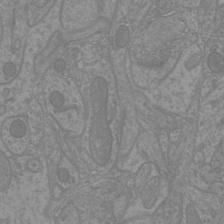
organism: Mouse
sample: Cortical neurons